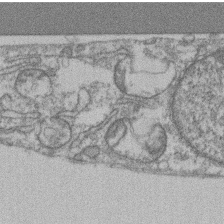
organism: Mouse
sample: T cell stromal cell synapse